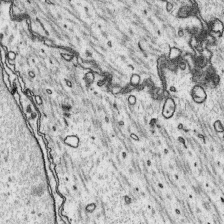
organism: Platynereis dumerilii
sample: Parapodia